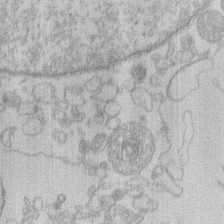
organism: Human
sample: Macrophage cells